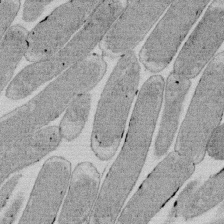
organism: E. coli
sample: Bacterial nucleoid